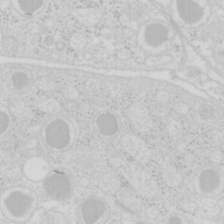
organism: Mouse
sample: Pancreas